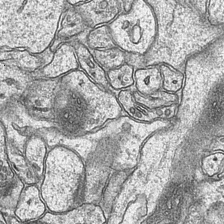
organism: Mouse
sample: CA1 Hippocampus